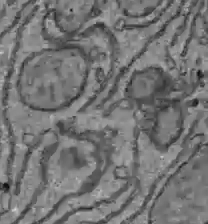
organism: C57BL Mouse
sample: Liver